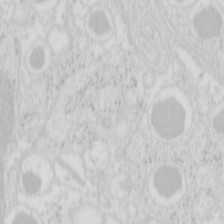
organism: Mouse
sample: Pancreas